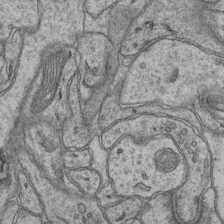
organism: Mouse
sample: CA1 Hippocampus